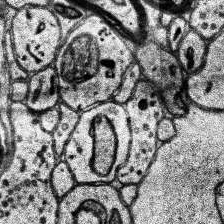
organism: Human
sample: Temporal Lobe